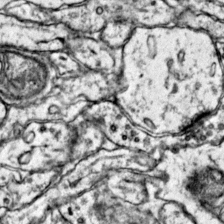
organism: Mouse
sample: Primary visual cortex